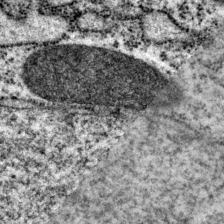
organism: P. pacificus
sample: Pharynx